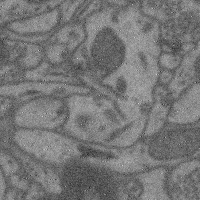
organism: Mouse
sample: Cerebral cortex